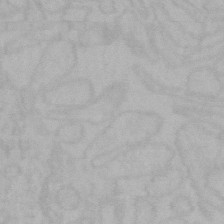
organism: Mouse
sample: Choroid plexus